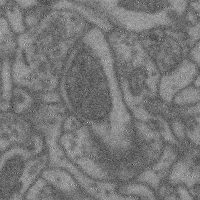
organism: Mouse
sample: Cerebral cortex